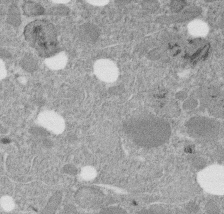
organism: C. elegans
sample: C. elegans embryo early stage